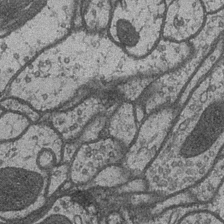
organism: Drosophila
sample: Optic medulla